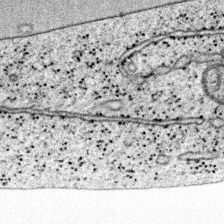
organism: Human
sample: HeLa cells